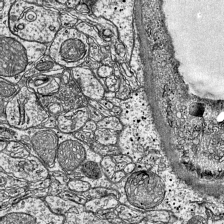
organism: Mouse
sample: Visual Cortex